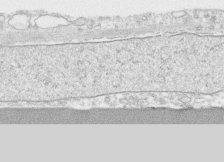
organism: Human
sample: CRL-1474